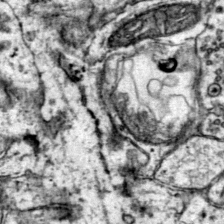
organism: Mouse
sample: Primary visual cortex